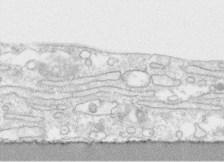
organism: Human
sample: CRL-1474